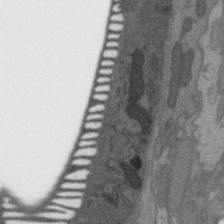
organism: C. elegans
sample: AFD neurons C. elegans